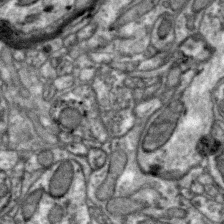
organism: Zebra finch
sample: Brain